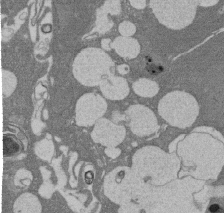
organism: Rat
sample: Salivary granule